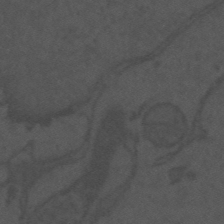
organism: Mouse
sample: Suprachiasmatic nucleus